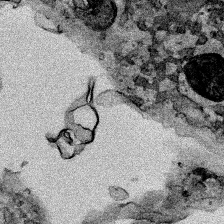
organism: Human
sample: Mitochondria in HCT116 cells